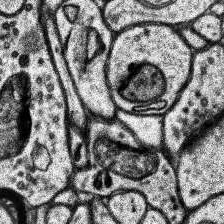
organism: Human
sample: Temporal Lobe